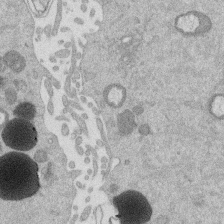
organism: Mouse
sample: Dividing mouse embryo 1 cell stage